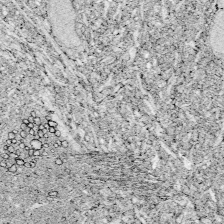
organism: Zebrafish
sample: Whole-Brain